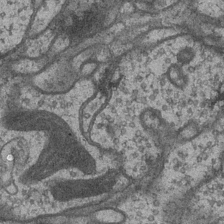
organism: Drosophila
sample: Optic medulla